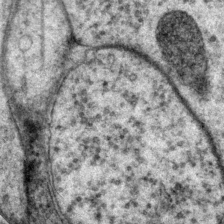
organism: P. pacificus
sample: Pharynx